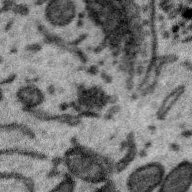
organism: Zebra finch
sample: Brain